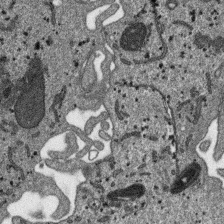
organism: Human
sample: Lung epithelial cells infected with SARS-CoV-2